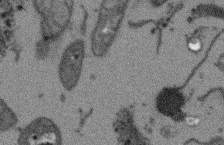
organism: Arabidopsis thaliana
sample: Root tip